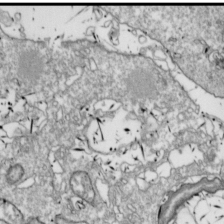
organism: Drosophila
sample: Cell division; meiosis; drosophila spermatocytes